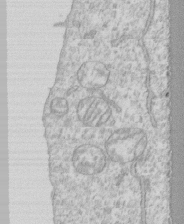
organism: Human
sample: CRL-1474